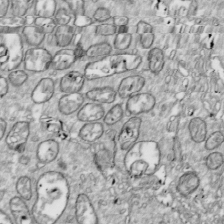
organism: Drosophila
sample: Cell division; meiosis; drosophila spermatocytes